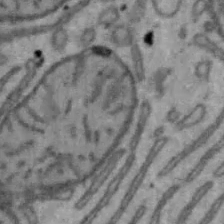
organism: Mouse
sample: Liver